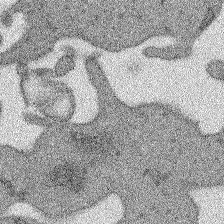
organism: Human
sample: HeLa cells